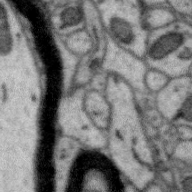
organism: Zebra finch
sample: Brain